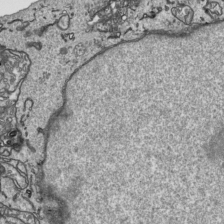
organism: Human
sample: Mitochondria in HCT116 cells